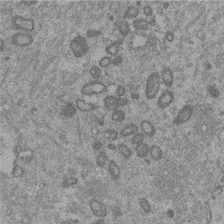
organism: Mouse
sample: Dividing mouse embryo 1 cell stage